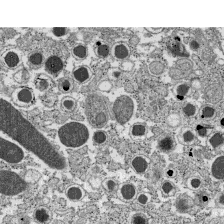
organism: C57BL Mouse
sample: Pancreatic islet